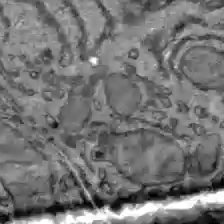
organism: C57BL Mouse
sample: Liver